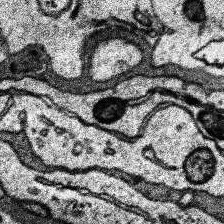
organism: Human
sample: Temporal Lobe